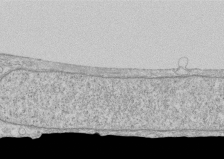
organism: Human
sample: CRL-1474